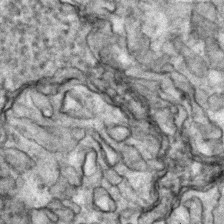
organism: Zebrafish